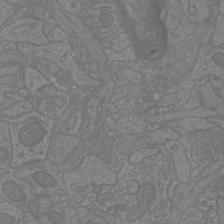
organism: Mouse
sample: Cortical neurons